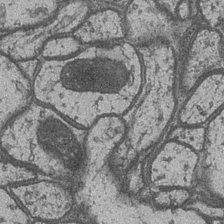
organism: Drosophila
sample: Optic medulla